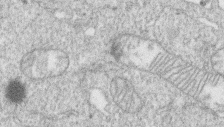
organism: Human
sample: HeLa cell HIV synapse